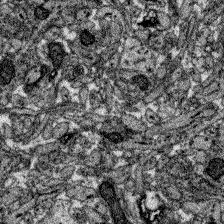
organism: Zebrafish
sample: Larval olfactory bulb